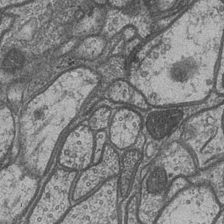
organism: Drosophila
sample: Optic medulla